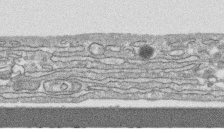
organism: Human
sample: CRL-1474